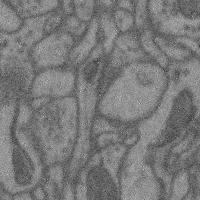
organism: Mouse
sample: Cerebral cortex